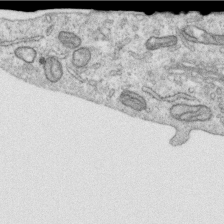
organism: Human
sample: Centriole in RPE cells